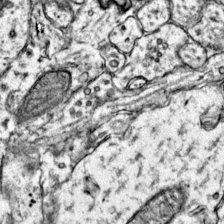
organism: Mouse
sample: Primary visual cortex